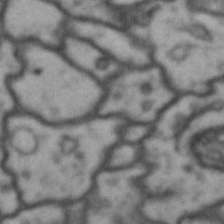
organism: Drosophila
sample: Brain